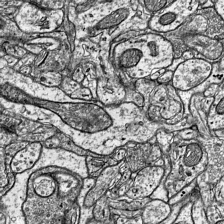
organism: Mouse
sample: Visual Cortex